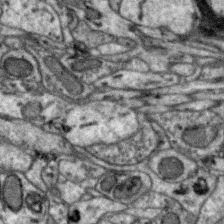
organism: Zebra finch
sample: Brain